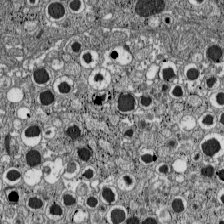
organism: C57BL Mouse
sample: Pancreatic islet